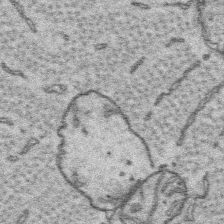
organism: Platynereis dumerilii